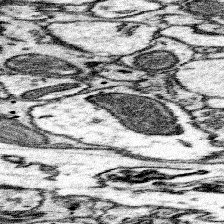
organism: Mouse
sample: Somatosensory cortex neuropil